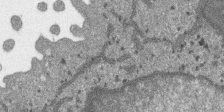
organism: Human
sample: Lung epithelial cells infected with SARS-CoV-2